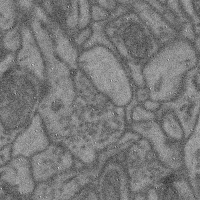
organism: Mouse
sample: Cerebral cortex